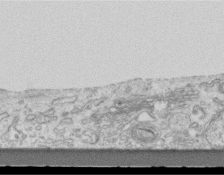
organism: Mouse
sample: Centriole in ependymal cells